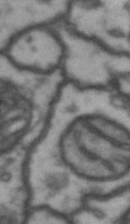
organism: Drosophila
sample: Brain